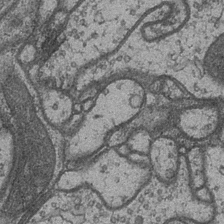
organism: Drosophila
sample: Optic medulla